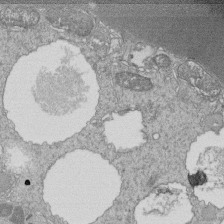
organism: Tetrahymena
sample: Cilia in tetrahymena